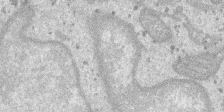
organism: Human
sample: Lung epithelial cells infected with SARS-CoV-2